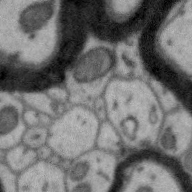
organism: Zebra finch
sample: Brain